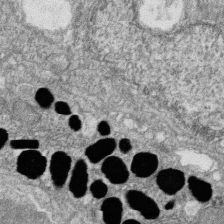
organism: Zebrafish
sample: Cilia; retinal pigment epithelium